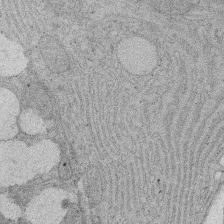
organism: Rat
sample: Salivary granule